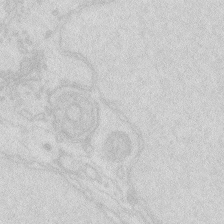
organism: Zebrafish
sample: Macrophage